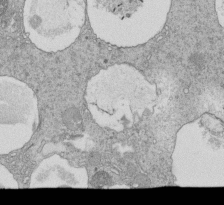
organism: Tetrahymena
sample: Cilia in tetrahymena